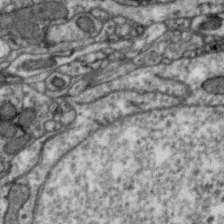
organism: Zebra finch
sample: Brain